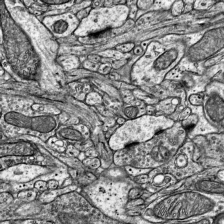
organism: Mouse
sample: Visual Cortex